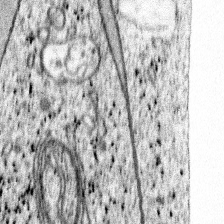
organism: Human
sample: HeLa cells